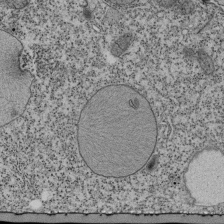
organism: Tetrahymena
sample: Cilia in tetrahymena